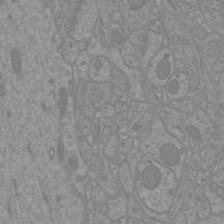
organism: Mouse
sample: Cortical neurons